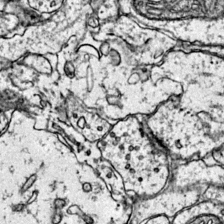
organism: Mouse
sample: Primary visual cortex